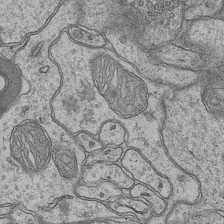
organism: Mouse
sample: CA1 Hippocampus